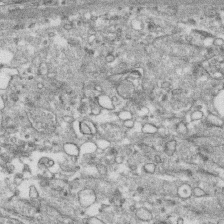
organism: Human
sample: CRL-1474